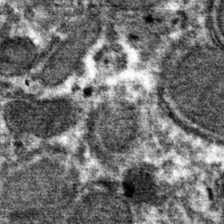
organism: Mouse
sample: Mouse hepatocytes